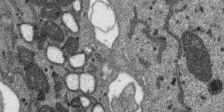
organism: Human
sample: Lung epithelial cells infected with SARS-CoV-2